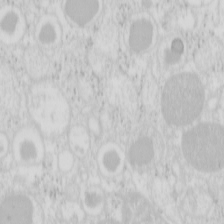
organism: Mouse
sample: Pancreas